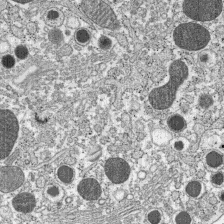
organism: C57BL Mouse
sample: Pancreatic islet